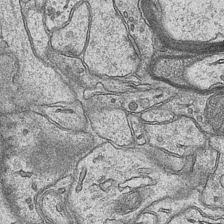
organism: Mouse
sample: CA1 Hippocampus